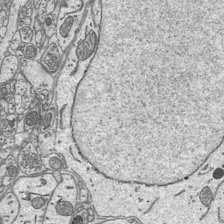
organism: Mouse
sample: Suprachiasmatic nucleus